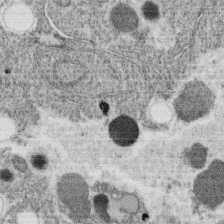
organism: C. elegans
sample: C. elegans oocyte; sperm cells